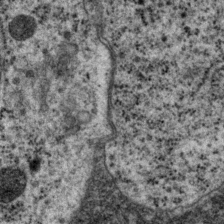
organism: P. pacificus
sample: Pharynx